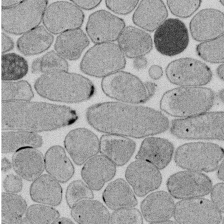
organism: E. coli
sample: Bacterial nucleoid